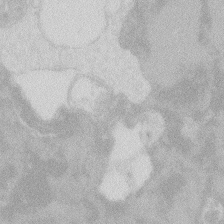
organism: Zebrafish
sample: Macrophage